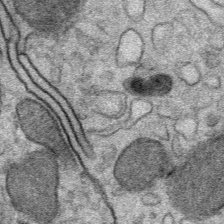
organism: Mouse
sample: Mouse Salivary gland